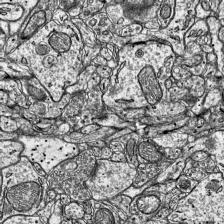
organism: Mouse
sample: Visual Cortex